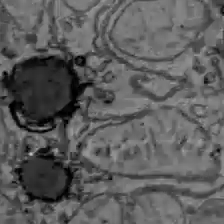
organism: C57BL Mouse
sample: Liver